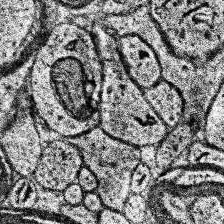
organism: Human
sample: Temporal Lobe